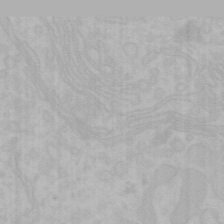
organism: Mouse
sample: Choroid plexus